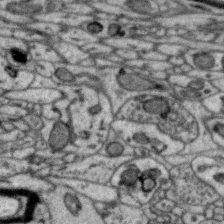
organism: Zebra finch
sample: Brain